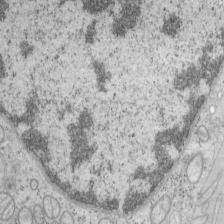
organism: Mouse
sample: OT-I killer T cells with ID8 ovarian cancer cells